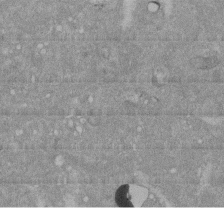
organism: Mouse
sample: ED-1 cell nuclei; centrioles